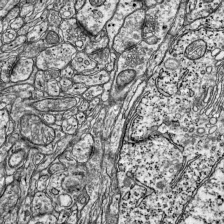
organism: Mouse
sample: Visual Cortex